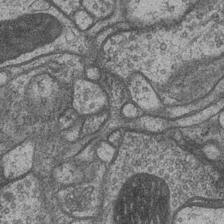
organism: Drosophila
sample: Optic medulla